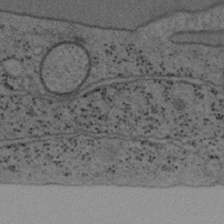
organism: Human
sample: HeLa cells